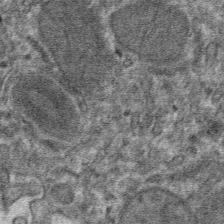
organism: Mouse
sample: Mouse hepatocytes